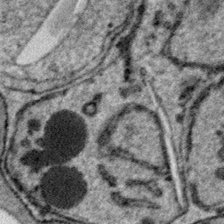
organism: Plasmodium falciparum